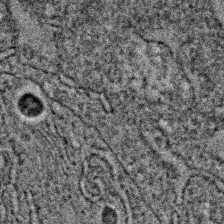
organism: C. elegans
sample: C. elegans embryo